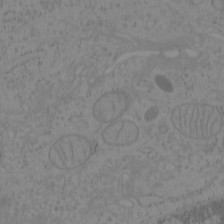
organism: Human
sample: HeLa cells